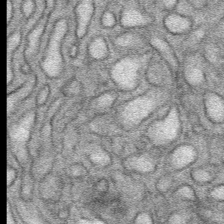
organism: Mouse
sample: Mouse Salivary gland